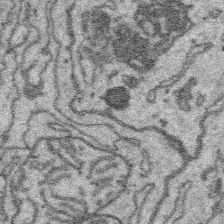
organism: Platynereis dumerilii